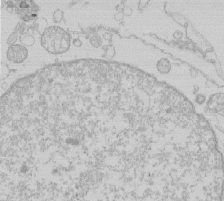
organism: Human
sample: Macrophage cells